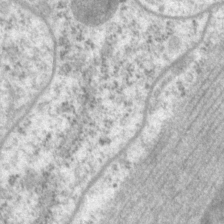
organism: P. pacificus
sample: Pharynx